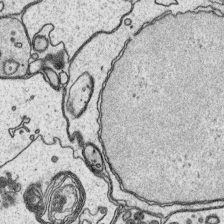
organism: Platynereis dumerilii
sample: Parapodia